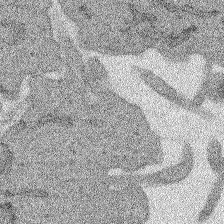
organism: Human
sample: HeLa cells